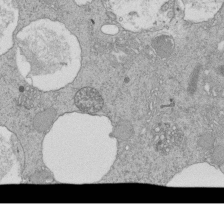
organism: Tetrahymena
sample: Cilia in tetrahymena